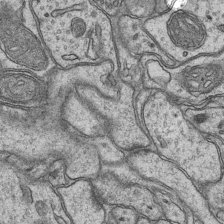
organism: Mouse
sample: CA1 Hippocampus